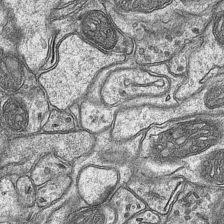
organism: Mouse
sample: CA1 Hippocampus